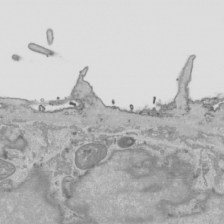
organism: Human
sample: Mitochondria in HCT116 cells